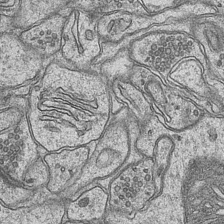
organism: Mouse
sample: CA1 Hippocampus